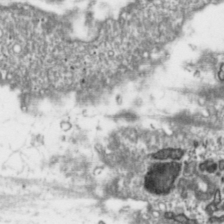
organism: Toxoplasma gondii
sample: Parasites in a vacuole inside a host cell